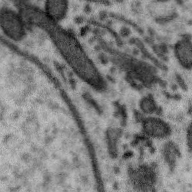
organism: Zebra finch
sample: Brain